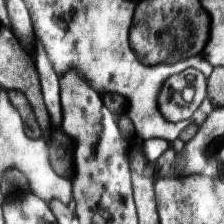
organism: Human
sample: Temporal Lobe